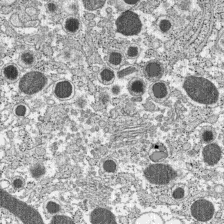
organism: C57BL Mouse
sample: Pancreatic islet